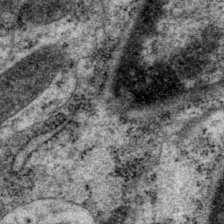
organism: P. pacificus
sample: Pharynx